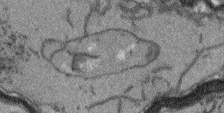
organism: Arabidopsis thaliana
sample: Root tip